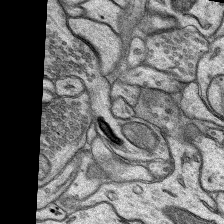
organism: Rat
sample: Hippocampus